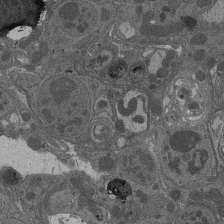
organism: Drosophila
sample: Antenna